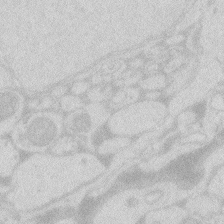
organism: Zebrafish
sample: Macrophage